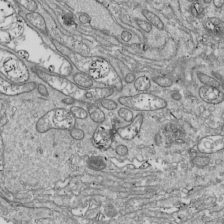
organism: Drosophila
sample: Cell division; meiosis; drosophila spermatocytes